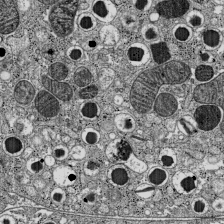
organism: C57BL Mouse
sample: Pancreatic islet